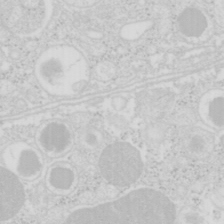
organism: Mouse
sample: Pancreas